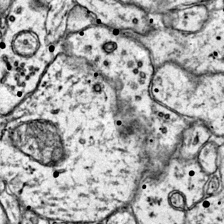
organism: Mouse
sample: Primary visual cortex